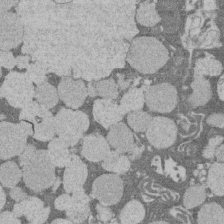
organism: Rat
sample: Salivary granule